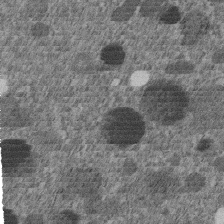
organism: C. elegans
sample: C. elegans embryo early stage